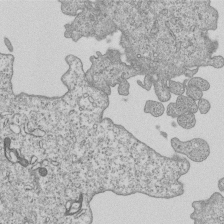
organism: Human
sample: MDA-MB-231 cells